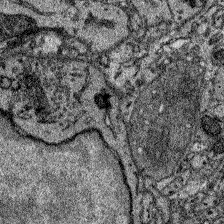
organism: Zebrafish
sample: Larval olfactory bulb